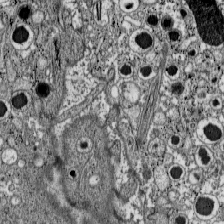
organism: C57BL Mouse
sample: Pancreatic islet